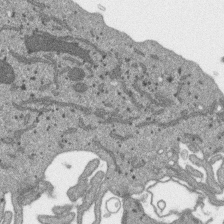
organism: Human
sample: Lung epithelial cells infected with SARS-CoV-2